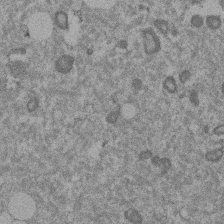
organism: Mouse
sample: Dividing mouse embryo 1 cell stage